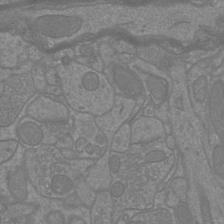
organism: Mouse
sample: Cortical neurons